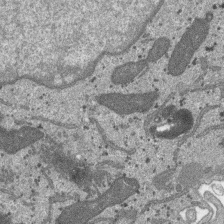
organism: Human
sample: Lung epithelial cells infected with SARS-CoV-2